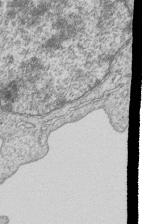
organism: Human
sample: MDA-MB-231 cells